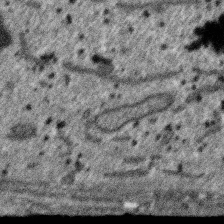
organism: Human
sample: Lung epithelial cells infected with SARS-CoV-2